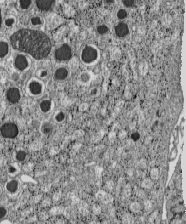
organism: C57BL Mouse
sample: Pancreatic islet